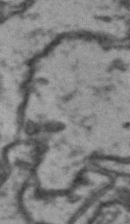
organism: Drosophila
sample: Brain